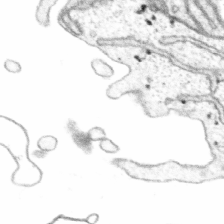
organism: Human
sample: HeLa cells